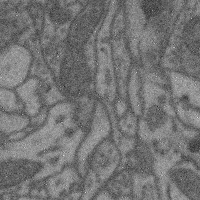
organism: Mouse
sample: Cerebral cortex